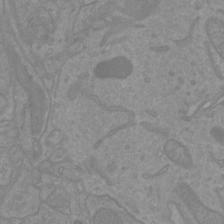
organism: Mouse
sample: Cortical neurons